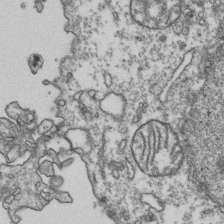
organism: Human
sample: Activated Jurkat CD4+ T cells